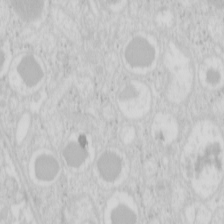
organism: Mouse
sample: Pancreas